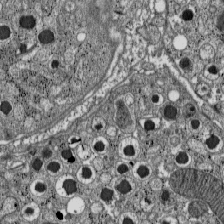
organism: C57BL Mouse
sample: Pancreatic islet